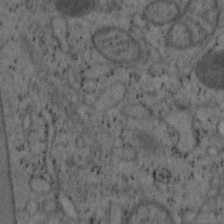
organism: Human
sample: HeLa cells